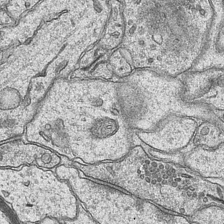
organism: Mouse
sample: CA1 Hippocampus